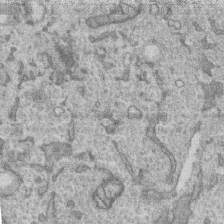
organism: Human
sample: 1205lu cells